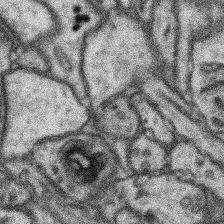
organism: Mouse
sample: Somatosensory cortex neuropil